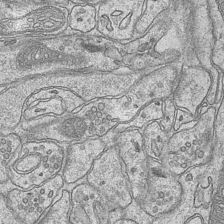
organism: Mouse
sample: CA1 Hippocampus